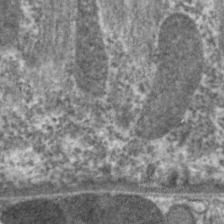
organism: C. elegans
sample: Pharynx